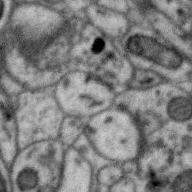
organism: Zebra finch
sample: Brain